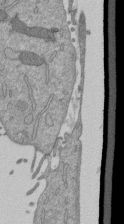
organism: Mouse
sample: ED-1 cell nuclei; centrioles